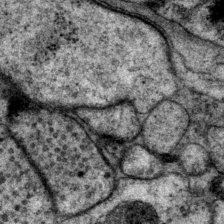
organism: P. pacificus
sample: Pharynx